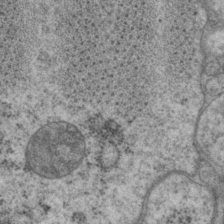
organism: P. pacificus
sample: Pharynx